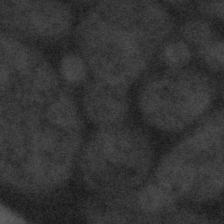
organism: Tuwongella immobilis